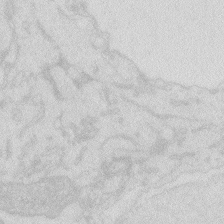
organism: Zebrafish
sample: Macrophage